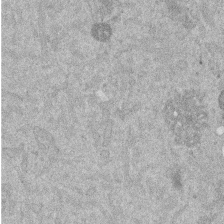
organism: Mouse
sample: Dividing mouse embryo 1 cell stage